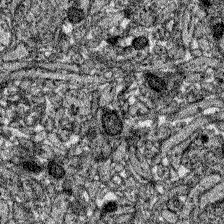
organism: Zebrafish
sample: Larval olfactory bulb